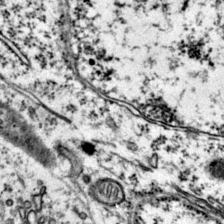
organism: Mouse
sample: Primary visual cortex